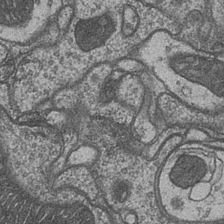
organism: Drosophila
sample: Optic medulla